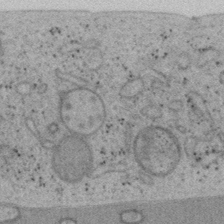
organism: Human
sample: HeLa cells